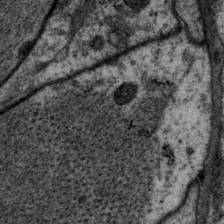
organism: P. pacificus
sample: Pharynx